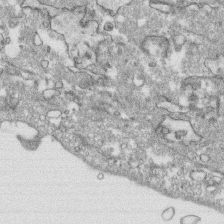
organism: Human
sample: CRL-1474